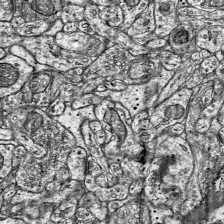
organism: Mouse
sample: Visual Cortex